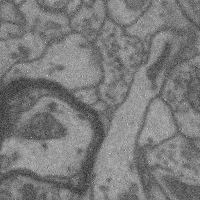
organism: Mouse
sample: Cerebral cortex